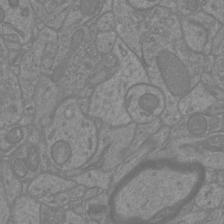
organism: Mouse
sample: Cortical neurons